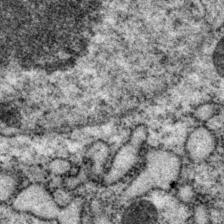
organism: P. pacificus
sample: Pharynx